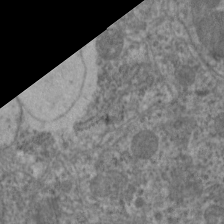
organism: C. elegans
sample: Pharynx